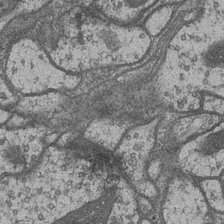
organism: Drosophila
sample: Optic medulla